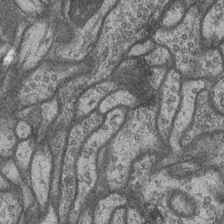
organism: Drosophila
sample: Optic medulla